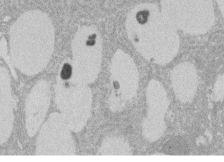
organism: Rat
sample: Salivary granule